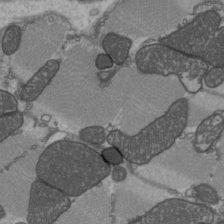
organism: C57BL Mouse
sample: Heart